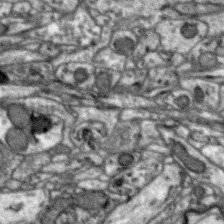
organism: Zebra finch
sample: Brain